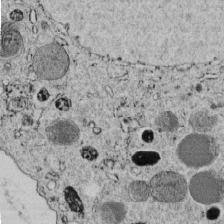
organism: C. elegans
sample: C. elegans embryo early stage